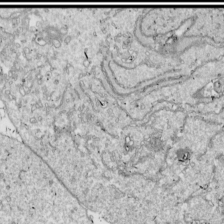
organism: Drosophila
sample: Cell division; meiosis; drosophila spermatocytes